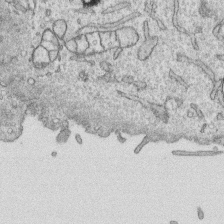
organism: Human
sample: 1205lu cells